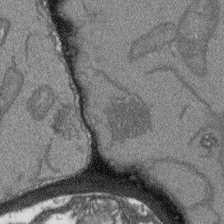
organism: Arabidopsis thaliana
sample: Root tip